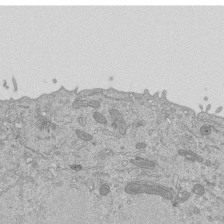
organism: Mouse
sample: ED-1 cell nuclei; centrioles